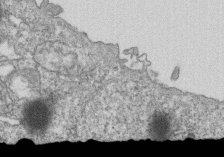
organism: Human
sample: HeLa cell HIV synapse